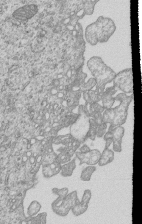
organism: Human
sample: MDA-MB-231 cells